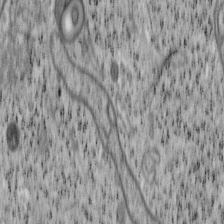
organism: Human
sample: HeLa cells